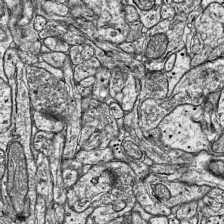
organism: Mouse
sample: Visual Cortex